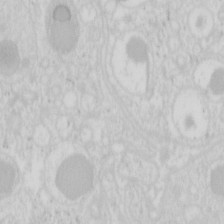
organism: Mouse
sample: Pancreas